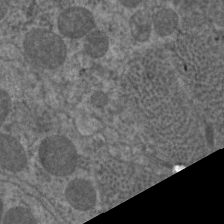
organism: C. elegans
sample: Pharynx